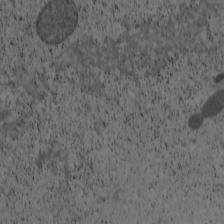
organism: African green monkey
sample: COS-7 cells